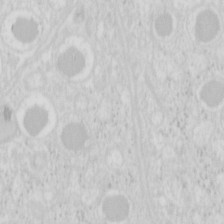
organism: Mouse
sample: Pancreas